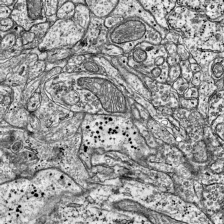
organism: Mouse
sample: Visual Cortex